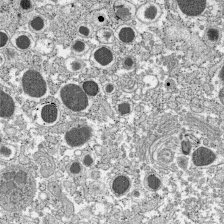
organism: C57BL Mouse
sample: Pancreatic islet